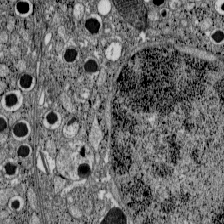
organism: C57BL Mouse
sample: Pancreatic islet